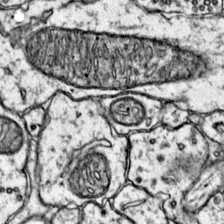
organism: Mouse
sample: Primary visual cortex